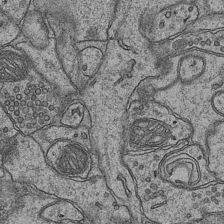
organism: Mouse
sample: CA1 Hippocampus